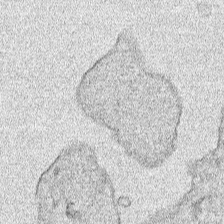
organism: Human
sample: Mitochondria in HCT116 cells